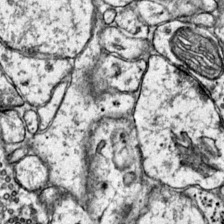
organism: Mouse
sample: Primary visual cortex